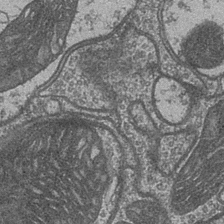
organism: Drosophila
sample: Optic medulla